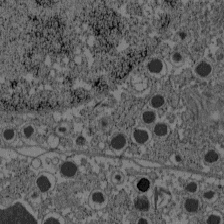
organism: C57BL Mouse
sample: Pancreatic islet